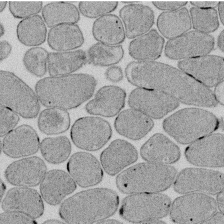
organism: E. coli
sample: Bacterial nucleoid